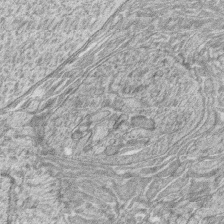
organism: Zebrafish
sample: synaptic ribbons in rod cells and cone cells